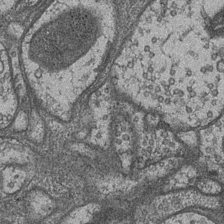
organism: Drosophila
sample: Optic medulla